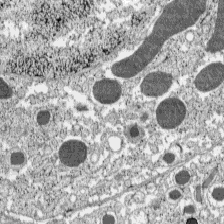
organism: C57BL Mouse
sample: Pancreatic islet